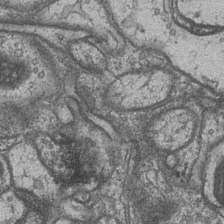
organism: Drosophila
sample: Optic medulla